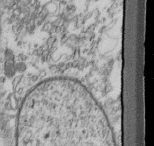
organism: Mouse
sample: Cilia; retinal pigment epithelium